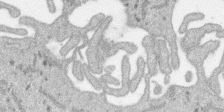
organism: Human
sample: Lung epithelial cells infected with SARS-CoV-2